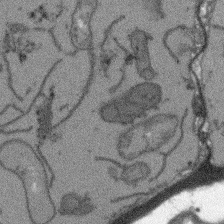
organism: Arabidopsis thaliana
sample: Root tip